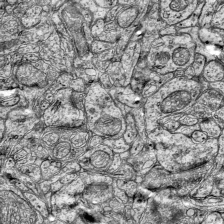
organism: Mouse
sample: Visual Cortex